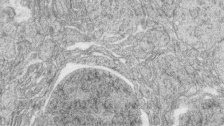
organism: Zebrafish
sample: synaptic ribbons in rod cells and cone cells